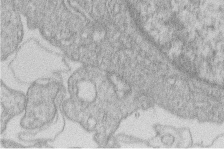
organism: Human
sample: Macrophage cells